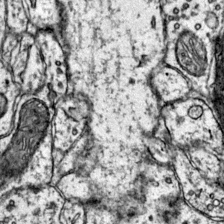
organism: Mouse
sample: Primary visual cortex